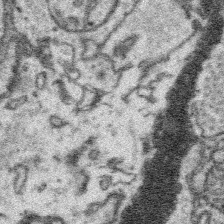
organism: Platynereis dumerilii